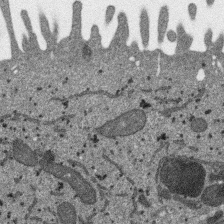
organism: Human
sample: Lung epithelial cells infected with SARS-CoV-2